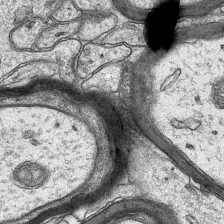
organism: Mouse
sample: CA1 Hippocampus